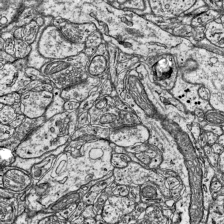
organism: Mouse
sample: Visual Cortex